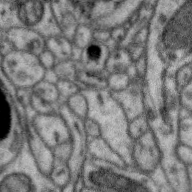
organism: Zebra finch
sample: Brain